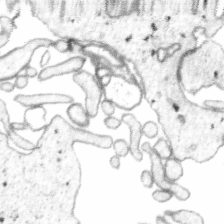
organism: Human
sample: HeLa cells